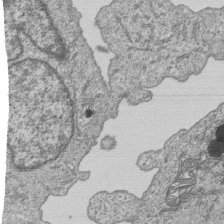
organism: Human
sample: MDA-MB-231 cells